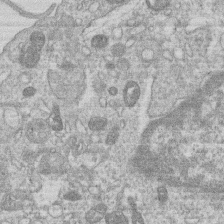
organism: Human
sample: Macrophage cells